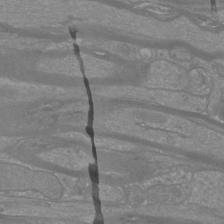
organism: Mouse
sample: Cortical neurons